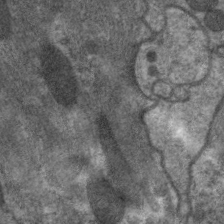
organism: C. elegans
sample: Pharynx